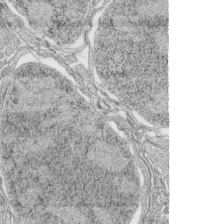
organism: Zebrafish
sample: synaptic ribbons in rod cells and cone cells